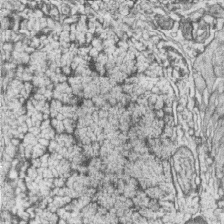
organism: Zebrafish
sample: synaptic ribbons in rod cells and cone cells